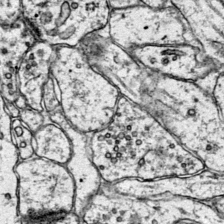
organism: Mouse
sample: Primary visual cortex